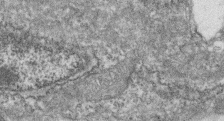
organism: Zebrafish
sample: Cilia; retinal pigment epithelium